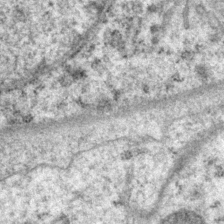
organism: P. pacificus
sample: Pharynx